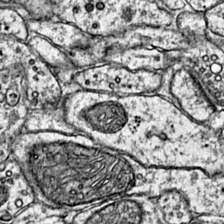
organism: Mouse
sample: Primary visual cortex